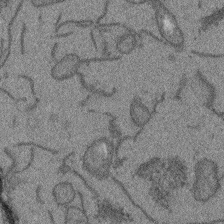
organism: Arabidopsis thaliana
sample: Root tip